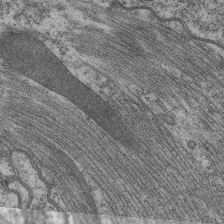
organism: C. elegans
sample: Pharynx